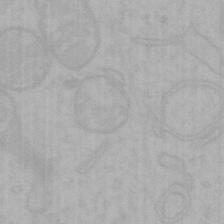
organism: Mouse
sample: Choroid plexus